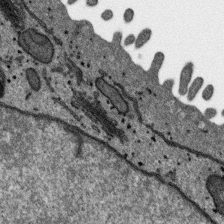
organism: Human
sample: Lung epithelial cells, uninfected (mock) control